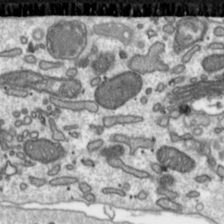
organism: Toxoplasma gondii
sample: Parasites in a vacuole inside a host cell